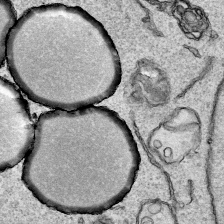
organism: Human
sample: Mitochondria in HCT116 cells